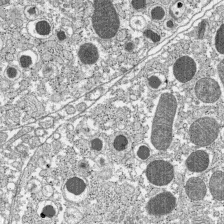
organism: C57BL Mouse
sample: Pancreatic islet